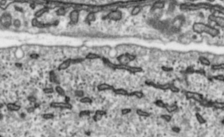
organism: Toxoplasma gondii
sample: Parasites in a vacuole inside a host cell